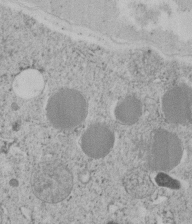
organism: C. elegans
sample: C. elegans embryo early stage